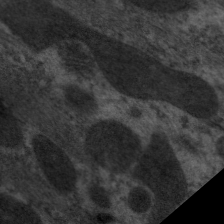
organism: C. elegans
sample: Pharynx